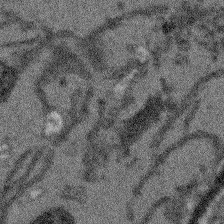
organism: Arabidopsis thaliana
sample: Root tip